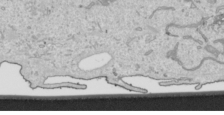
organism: Human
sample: Mitochondria in HCT116 cells